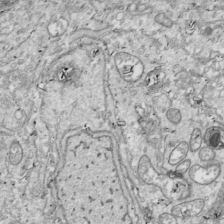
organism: Drosophila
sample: Cell division; meiosis; drosophila spermatocytes